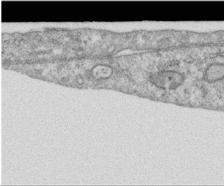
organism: Human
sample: Centriole in RPE cells